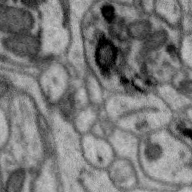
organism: Zebra finch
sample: Brain